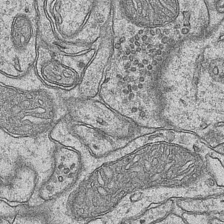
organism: Mouse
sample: CA1 Hippocampus